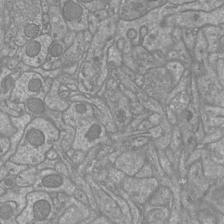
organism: Mouse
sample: Cortical neurons